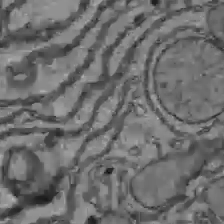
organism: C57BL Mouse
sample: Liver